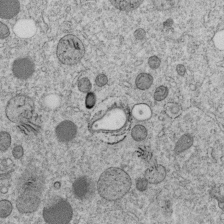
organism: C. elegans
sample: C. elegans embryo early stage